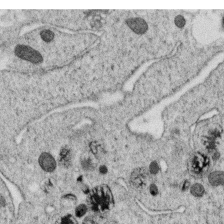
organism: C. elegans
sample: C. elegans oocyte; sperm cells